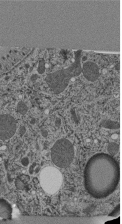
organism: C. elegans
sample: C. elegans pharynx